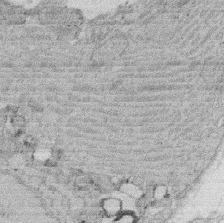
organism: Rat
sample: Salivary granule